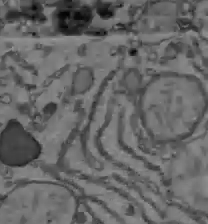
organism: C57BL Mouse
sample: Liver